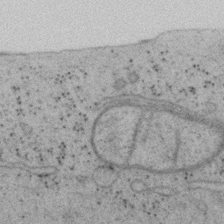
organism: Human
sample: HeLa cells